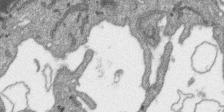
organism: Human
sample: Lung epithelial cells infected with SARS-CoV-2